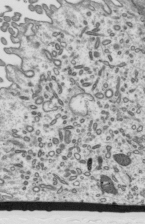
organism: Mouse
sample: Mouse epididymis efferent ductule cilia